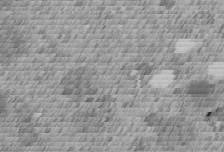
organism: C. elegans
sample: C. elegans embryo early stage